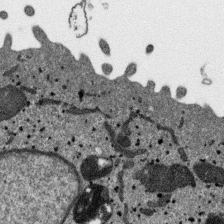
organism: Human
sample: Lung epithelial cells, uninfected (mock) control